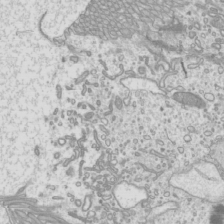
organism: Mouse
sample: Cilia; mouse epididymis